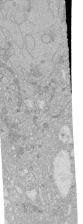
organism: Human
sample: Caco-2 cells